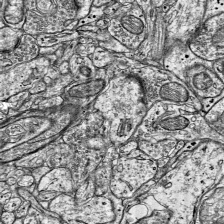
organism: Mouse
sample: Visual Cortex